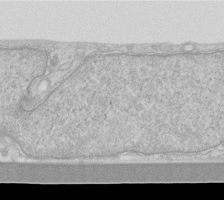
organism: Human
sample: Fibroblast cells